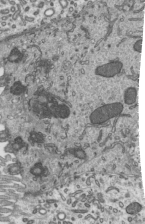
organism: Mouse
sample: Mouse epididymis efferent ductule cilia